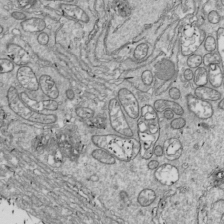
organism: Drosophila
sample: Cell division; meiosis; drosophila spermatocytes